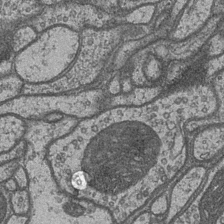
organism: Drosophila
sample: Optic medulla